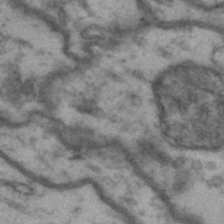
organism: Drosophila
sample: Brain